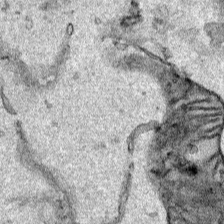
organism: Human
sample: Mitochondria in HCT116 cells